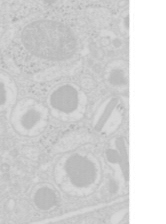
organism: Mouse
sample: Pancreas